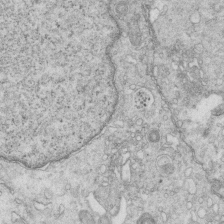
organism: Mouse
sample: Multiciliated cells